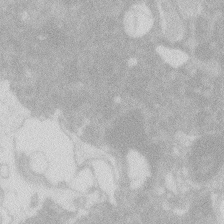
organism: Zebrafish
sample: Macrophage